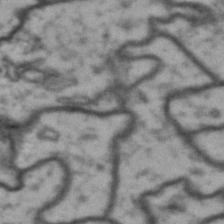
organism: Drosophila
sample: Brain